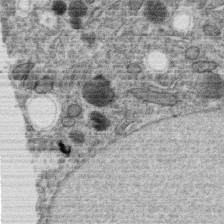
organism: C. elegans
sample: C. elegans oocyte; sperm cells